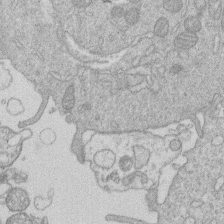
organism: Human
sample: Macrophage cells